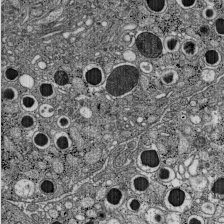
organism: C57BL Mouse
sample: Pancreatic islet